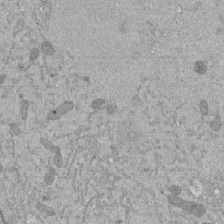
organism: Mouse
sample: ED-1 cell nuclei; centrioles